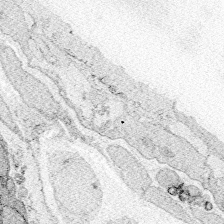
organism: Zebrafish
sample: Whole-Brain